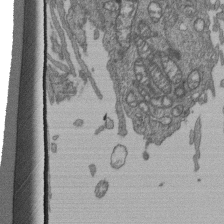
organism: Human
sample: Retinal organoid Rod and Cone cells